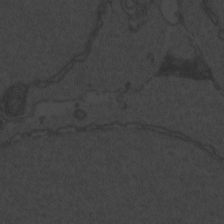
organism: Zebrafish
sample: Macrophage infected with Toxoplasma gondii